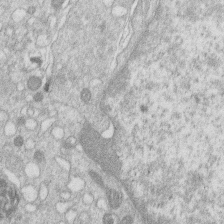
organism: Human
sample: Macrophage cells